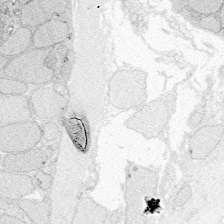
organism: Zebrafish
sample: Whole-Brain